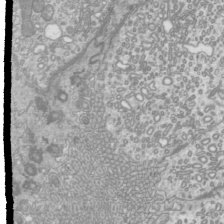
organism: Mouse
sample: Cilia; mouse epididymis